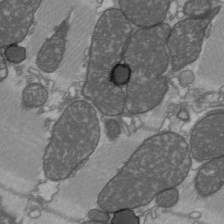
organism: C57BL Mouse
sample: Heart